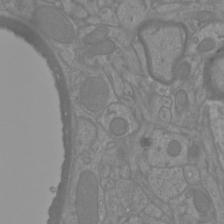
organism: Mouse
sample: Cortical neurons